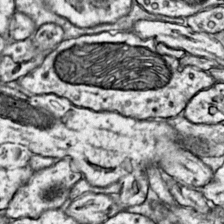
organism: Mouse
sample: Primary visual cortex